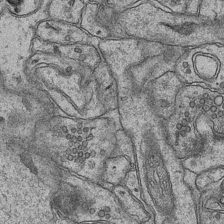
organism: Mouse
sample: CA1 Hippocampus